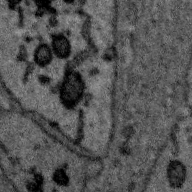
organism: Zebra finch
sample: Brain